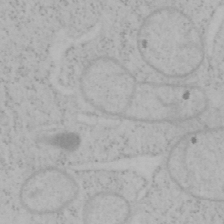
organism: Mouse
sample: OT-I killer T cells with ID8 ovarian cancer cells